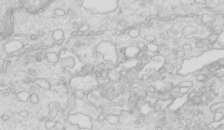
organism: Mouse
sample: Multiciliated cells